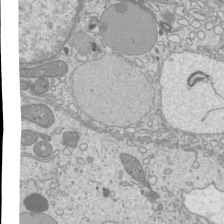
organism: Mouse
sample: Cilia; mouse epididymis